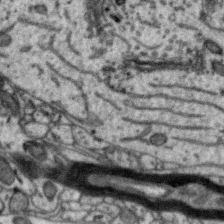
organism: Zebra finch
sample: Brain